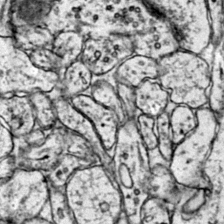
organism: Mouse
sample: Primary visual cortex